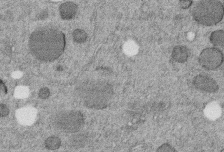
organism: C. elegans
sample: C. elegans embryo early stage